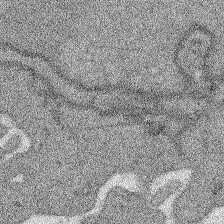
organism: Human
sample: HeLa cells